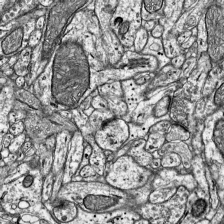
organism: Mouse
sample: Visual Cortex